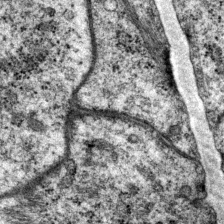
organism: P. pacificus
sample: Pharynx